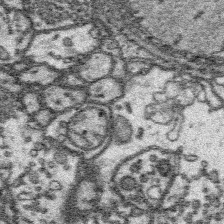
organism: Platynereis dumerilii